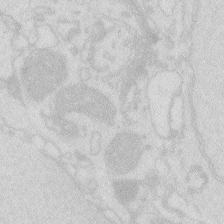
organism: Zebrafish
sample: Macrophage